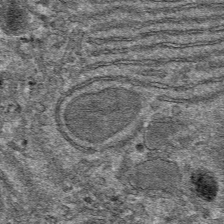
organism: Mouse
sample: Mouse hepatocytes